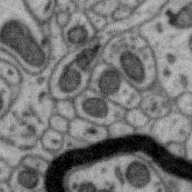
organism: Zebra finch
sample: Brain